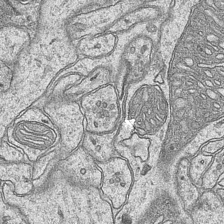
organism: Mouse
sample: CA1 Hippocampus